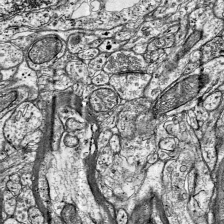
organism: Mouse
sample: Visual Cortex